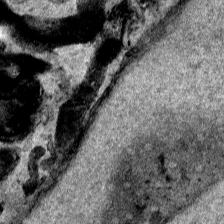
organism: Human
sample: Mitochondria in HCT116 cells